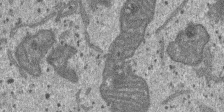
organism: Human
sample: Lung epithelial cells infected with SARS-CoV-2